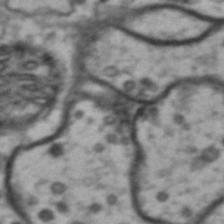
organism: Drosophila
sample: Brain